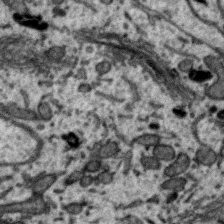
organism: Zebra finch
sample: Brain